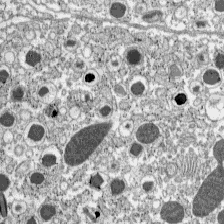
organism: C57BL Mouse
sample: Pancreatic islet